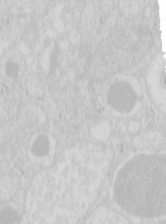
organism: Mouse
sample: Pancreas